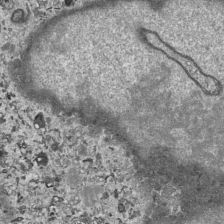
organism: Human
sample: Mitochondria in HCT116 cells